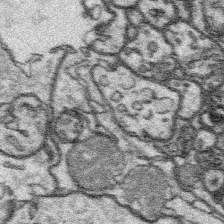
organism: Platynereis dumerilii